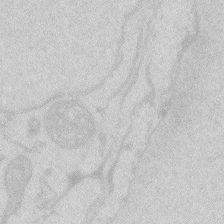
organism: Zebrafish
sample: Macrophage